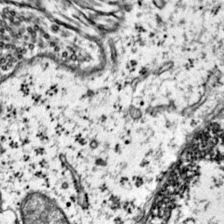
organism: Mouse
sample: Primary visual cortex